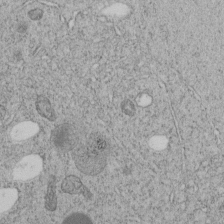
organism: C. elegans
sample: C. elegans embryo early stage